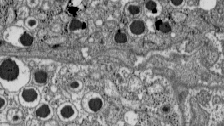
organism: C57BL Mouse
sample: Pancreatic islet